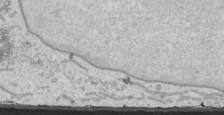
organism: Human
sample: Mitochondria in HCT116 cells